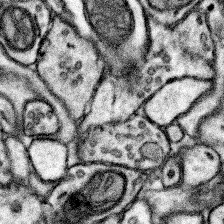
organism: Mouse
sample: Somatosensory cortex neuropil